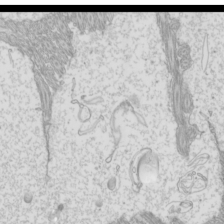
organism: Mouse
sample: Cilia; mouse epididymis